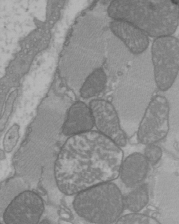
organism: C57BL Mouse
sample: Heart